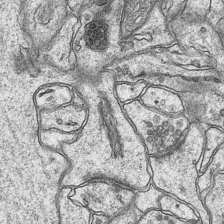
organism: Mouse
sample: CA1 Hippocampus